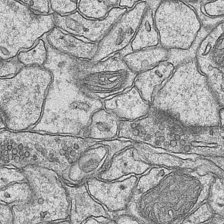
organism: Mouse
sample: CA1 Hippocampus